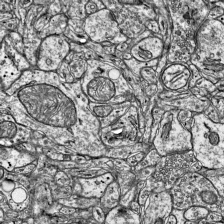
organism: Mouse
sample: Visual Cortex